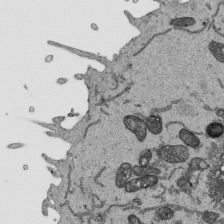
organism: Human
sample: Mitochondria in HCT116 cells